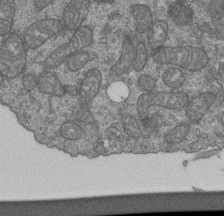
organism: Human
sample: Retinal organoid Rod and Cone cells